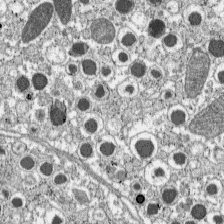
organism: C57BL Mouse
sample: Pancreatic islet